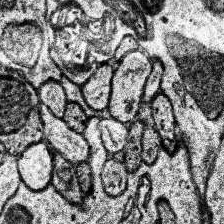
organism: Human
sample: Temporal Lobe